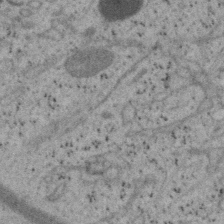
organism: Human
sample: HeLa cells